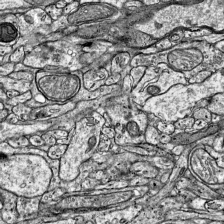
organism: Mouse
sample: Visual Cortex